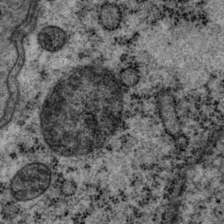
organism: P. pacificus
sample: Pharynx